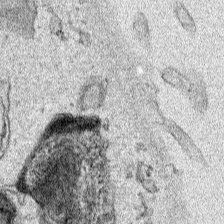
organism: Human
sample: Mitochondria in HCT116 cells